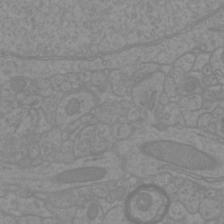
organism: Mouse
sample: Cortical neurons